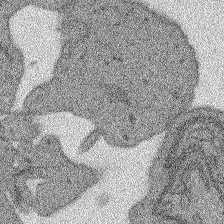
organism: Human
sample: HeLa cells